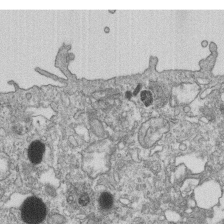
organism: Human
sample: HeLa cell HIV synapse